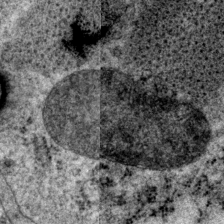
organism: P. pacificus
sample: Pharynx